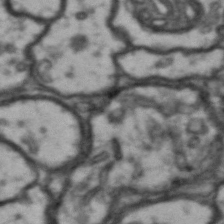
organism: Drosophila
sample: Brain